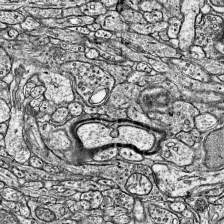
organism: Mouse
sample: Visual Cortex